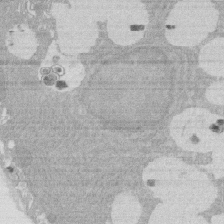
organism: Rat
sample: Salivary granule